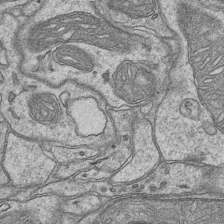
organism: Mouse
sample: CA1 Hippocampus